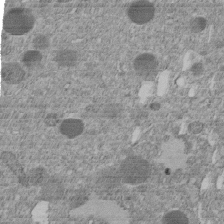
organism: C. elegans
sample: C. elegans embryo early stage